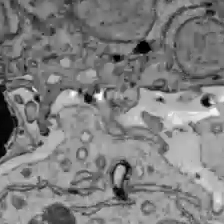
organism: C57BL Mouse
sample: Liver